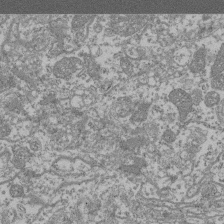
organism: Mouse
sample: Glomerulus